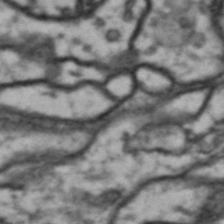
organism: Drosophila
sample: Brain